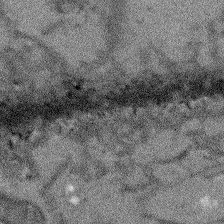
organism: Arabidopsis thaliana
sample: Root tip